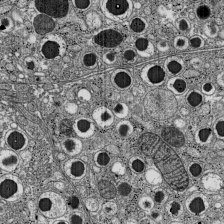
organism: C57BL Mouse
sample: Pancreatic islet